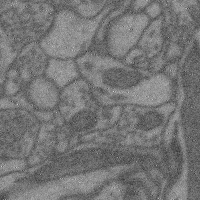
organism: Mouse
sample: Cerebral cortex